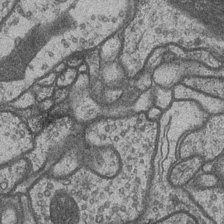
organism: Drosophila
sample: Optic medulla